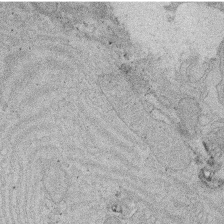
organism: Rat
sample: Salivary granule